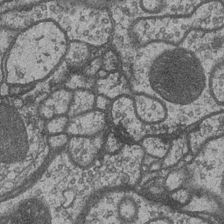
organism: Drosophila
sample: Optic medulla